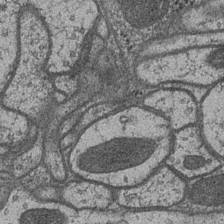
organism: Drosophila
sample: Optic medulla